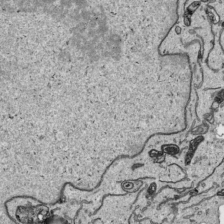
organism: Human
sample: Mitochondria in HCT116 cells